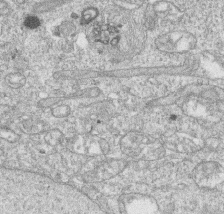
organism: Human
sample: HeLa cell HIV synapse